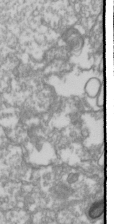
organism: Drosophila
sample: Cell division; meiosis; drosophila spermatocytes